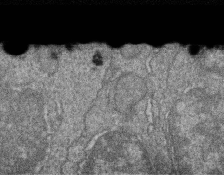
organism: Zebrafish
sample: Cilia; retinal pigment epithelium